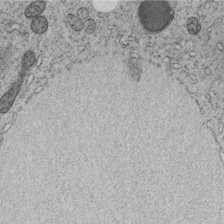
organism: C. elegans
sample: C. elegans embryo early stage